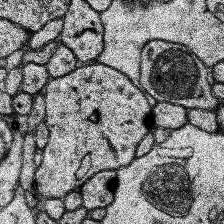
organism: Human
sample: Temporal Lobe